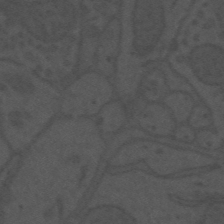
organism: Mouse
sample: Suprachiasmatic nucleus